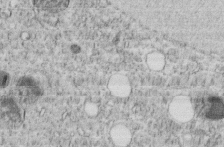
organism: C. elegans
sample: C. elegans embryo early stage